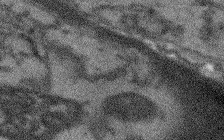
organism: Arabidopsis thaliana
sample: Root tip